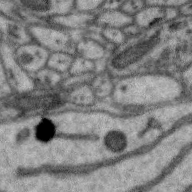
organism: Zebra finch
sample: Brain